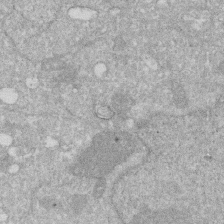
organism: Human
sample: HIV infected U937 cells